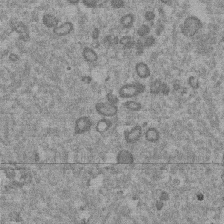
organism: Mouse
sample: Dividing mouse embryo 1 cell stage